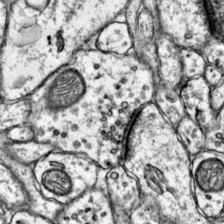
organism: Mouse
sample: Primary visual cortex